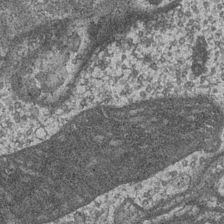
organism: Drosophila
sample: Optic medulla